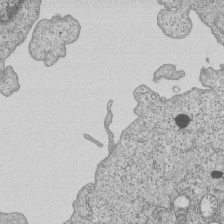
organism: Human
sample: MDA-MB-231 cells